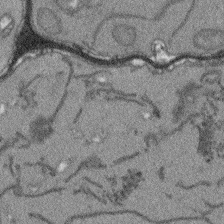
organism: Arabidopsis thaliana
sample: Root tip